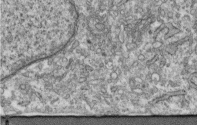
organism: Human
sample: Centriole in fibroblast cells